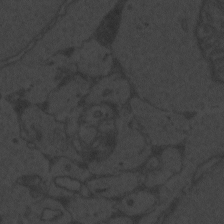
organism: Zebrafish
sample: Macrophage infected with Toxoplasma gondii